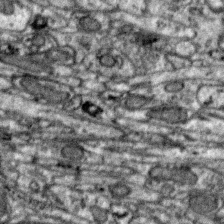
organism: Zebra finch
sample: Brain